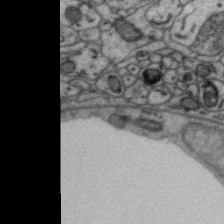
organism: Zebra finch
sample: Brain